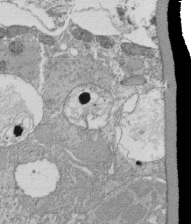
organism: Tetrahymena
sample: Cilia in tetrahymena